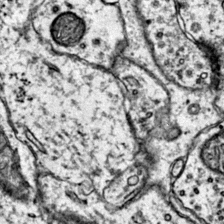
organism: Mouse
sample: Primary visual cortex